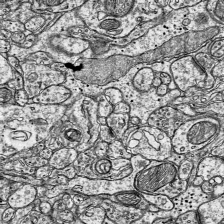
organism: Mouse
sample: Visual Cortex